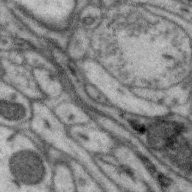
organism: Zebra finch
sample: Brain